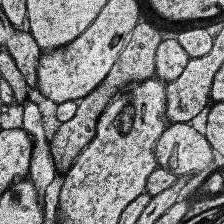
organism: Human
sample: Temporal Lobe